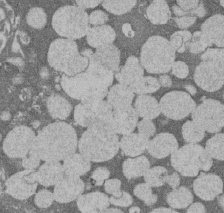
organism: Rat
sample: Salivary granule